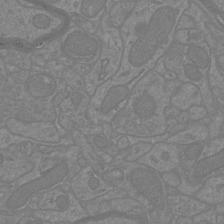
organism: Mouse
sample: Cortical neurons